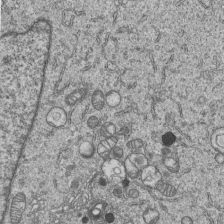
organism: Human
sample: MDA-MB-231 cells